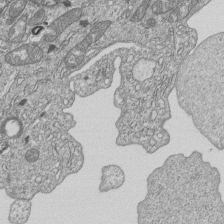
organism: Human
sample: MDA-MB-231 cells